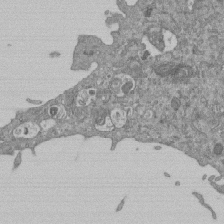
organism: Mouse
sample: ED-1 cell nuclei; centrioles